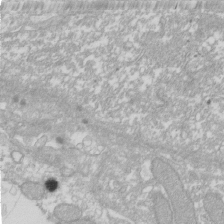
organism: Xenopus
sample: Cilia; centrioles in frog embryo cells